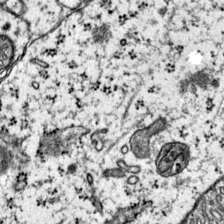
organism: Mouse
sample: Primary visual cortex